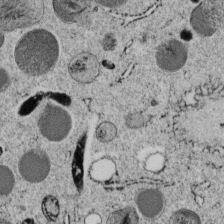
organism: C. elegans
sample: C. elegans embryo early stage